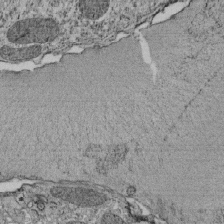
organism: Tetrahymena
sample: Cilia in tetrahymena